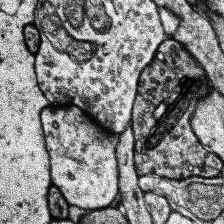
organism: Human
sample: Temporal Lobe